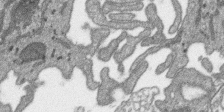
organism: Human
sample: Lung epithelial cells infected with SARS-CoV-2